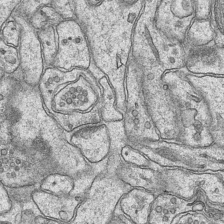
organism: Mouse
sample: CA1 Hippocampus